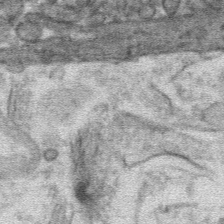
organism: Mouse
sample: Mouse hepatocytes